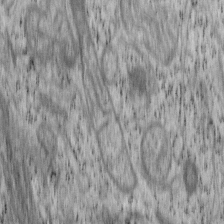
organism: Human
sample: HeLa cells